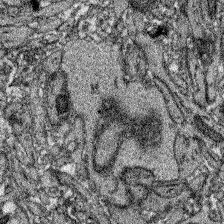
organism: Zebrafish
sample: Larval olfactory bulb